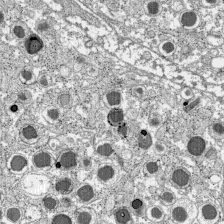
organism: C57BL Mouse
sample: Pancreatic islet